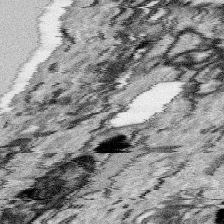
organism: Human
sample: HeLa cells